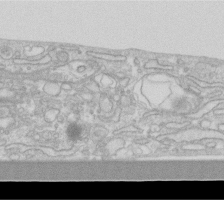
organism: Human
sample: Fibroblast cells